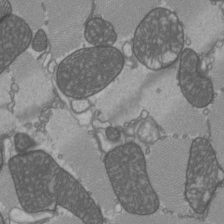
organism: C57BL Mouse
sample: Heart